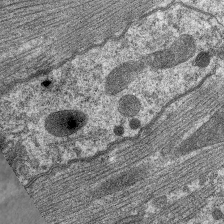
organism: C. elegans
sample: Pharynx